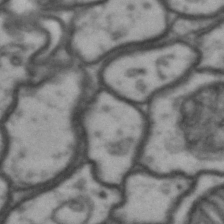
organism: Drosophila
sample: Brain